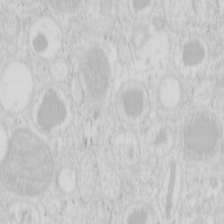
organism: Mouse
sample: Pancreas